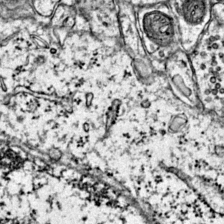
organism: Mouse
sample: Primary visual cortex